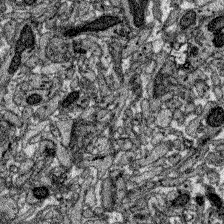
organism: Zebrafish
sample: Larval olfactory bulb